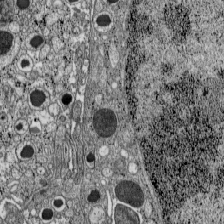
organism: C57BL Mouse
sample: Pancreatic islet